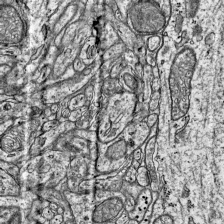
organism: Mouse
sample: Visual Cortex